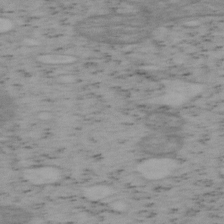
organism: Mouse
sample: OT-I killer T cells with ID8 ovarian cancer cells